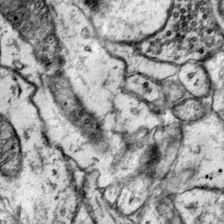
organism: Mouse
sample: Primary visual cortex